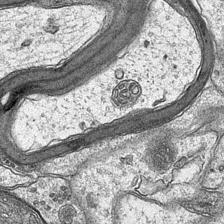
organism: Mouse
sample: CA1 Hippocampus